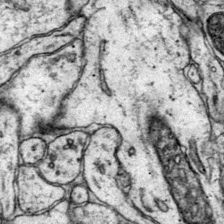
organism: Mouse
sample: Primary visual cortex